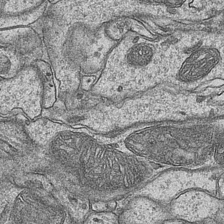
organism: Mouse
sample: CA1 Hippocampus